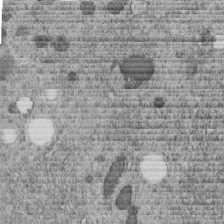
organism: C. elegans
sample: C. elegans embryo early stage